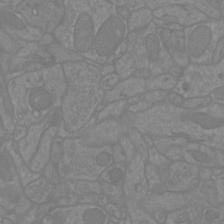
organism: Mouse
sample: Cortical neurons